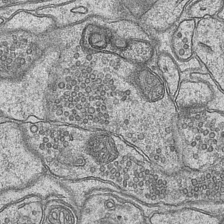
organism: Mouse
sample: CA1 Hippocampus